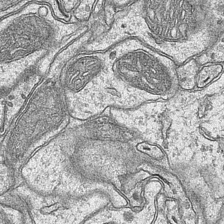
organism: Mouse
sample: CA1 Hippocampus